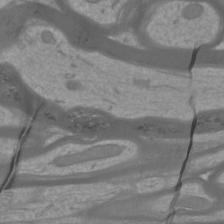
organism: Mouse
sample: Cortical neurons